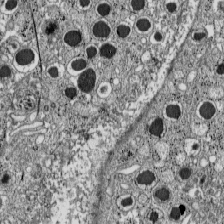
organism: C57BL Mouse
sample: Pancreatic islet